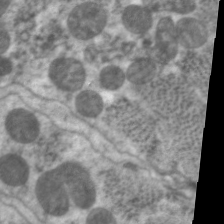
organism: C. elegans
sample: Pharynx